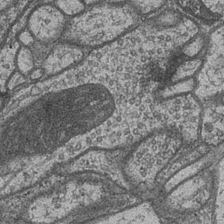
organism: Drosophila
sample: Optic medulla